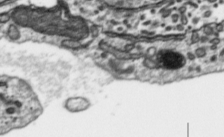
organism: Toxoplasma gondii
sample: Parasites in a vacuole inside a host cell